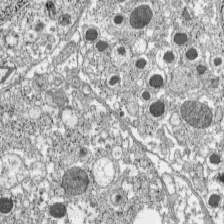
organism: C57BL Mouse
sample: Pancreatic islet